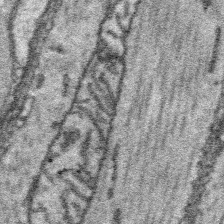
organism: Platynereis dumerilii